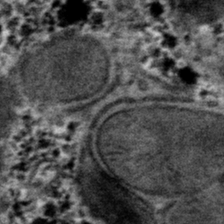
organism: Mouse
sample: Mouse hepatocytes